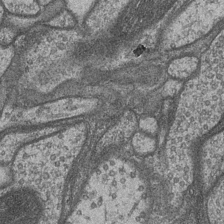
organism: Drosophila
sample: Optic medulla